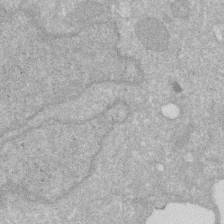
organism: Human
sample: HIV infected U937 cells